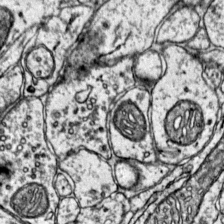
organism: Mouse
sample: Primary visual cortex